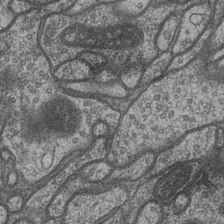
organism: Drosophila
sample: Optic medulla